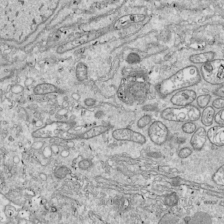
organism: Drosophila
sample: Cell division; meiosis; drosophila spermatocytes